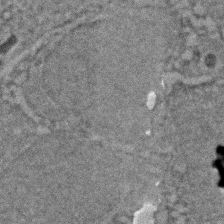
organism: Zebrafish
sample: Zebrafish embryo